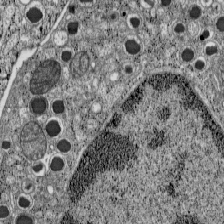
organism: C57BL Mouse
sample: Pancreatic islet